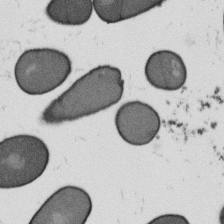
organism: B. subtilis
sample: Bacterial spore